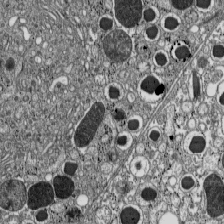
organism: C57BL Mouse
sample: Pancreatic islet